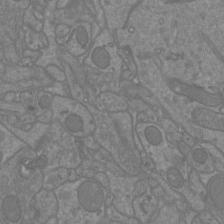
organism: Mouse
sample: Cortical neurons